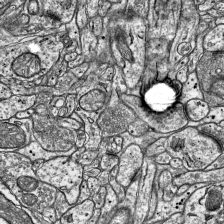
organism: Mouse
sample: Visual Cortex